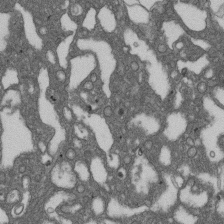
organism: Drosophila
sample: Nephrocyte